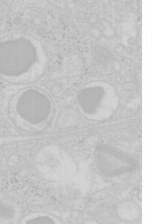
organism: Mouse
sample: Pancreas